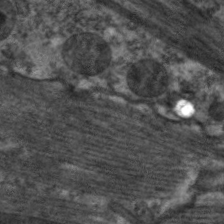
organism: C. elegans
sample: Pharynx